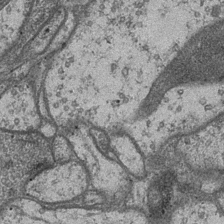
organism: Drosophila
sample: Optic medulla